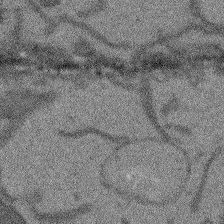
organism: Arabidopsis thaliana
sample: Root tip